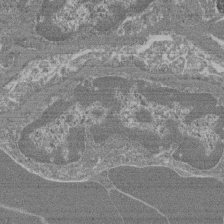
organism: Mouse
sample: Glomerulus